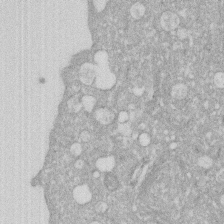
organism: Human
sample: HIV infected U937 cells